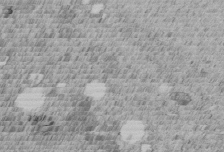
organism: C. elegans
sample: C. elegans embryo early stage